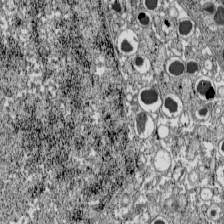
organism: C57BL Mouse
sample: Pancreatic islet